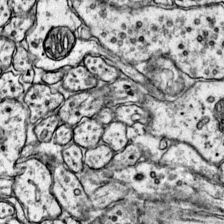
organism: Mouse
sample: Primary visual cortex